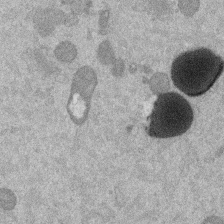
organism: Mouse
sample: Dividing mouse embryo 1 cell stage